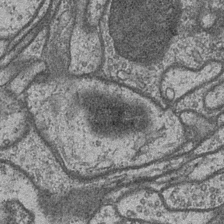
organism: Drosophila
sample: Optic medulla